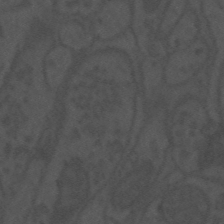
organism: Mouse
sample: Suprachiasmatic nucleus